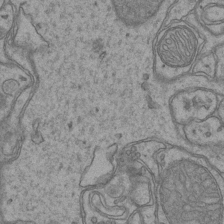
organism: Mouse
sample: CA1 Hippocampus